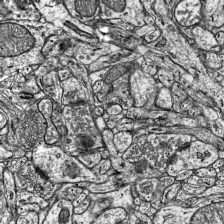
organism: Mouse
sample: Visual Cortex